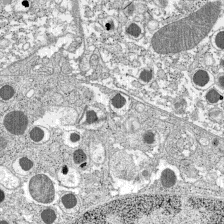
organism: C57BL Mouse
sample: Pancreatic islet